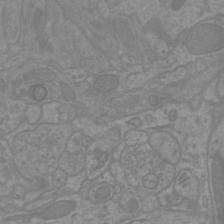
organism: Mouse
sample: Cortical neurons